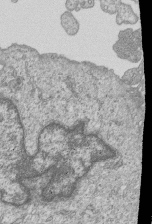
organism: Human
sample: MDA-MB-231 cells